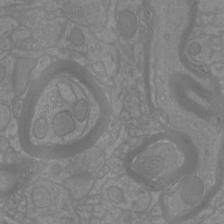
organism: Mouse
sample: Cortical neurons